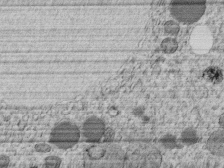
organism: C. elegans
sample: C. elegans embryo early stage